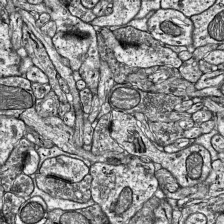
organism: Mouse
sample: Visual Cortex